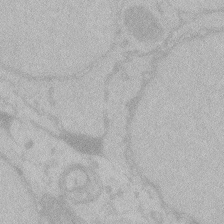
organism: Zebrafish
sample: Macrophage infected with Toxoplasma gondii